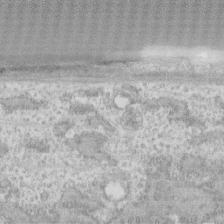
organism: Human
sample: CRL-1474